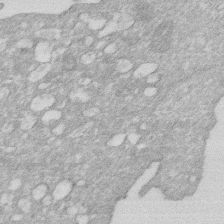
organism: Human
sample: HIV infected U937 cells